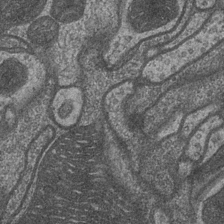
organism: Drosophila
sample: Optic medulla